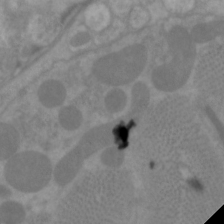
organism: C. elegans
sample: Pharynx